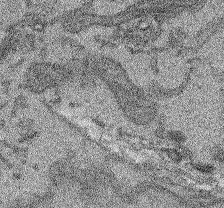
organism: Human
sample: HeLa cells